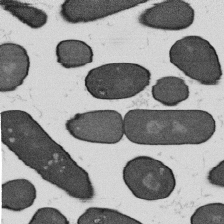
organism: B. subtilis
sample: Bacterial spore